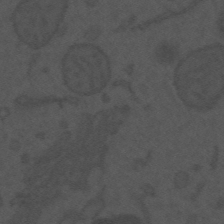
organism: Mouse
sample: Suprachiasmatic nucleus